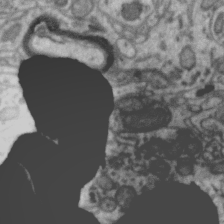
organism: Zebra finch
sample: Brain